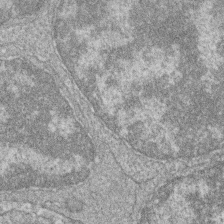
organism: Zebrafish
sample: Cilia; retinal pigment epithelium